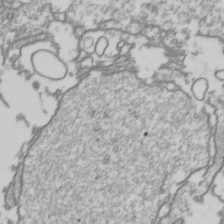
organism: Drosophila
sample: Cell division; meiosis; drosophila spermatocytes